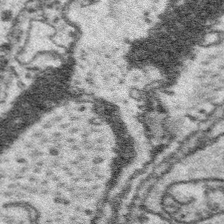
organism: Platynereis dumerilii